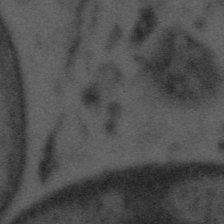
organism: Tuwongella immobilis